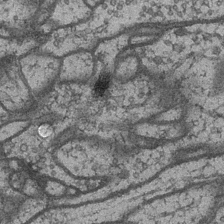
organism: Drosophila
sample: Optic medulla